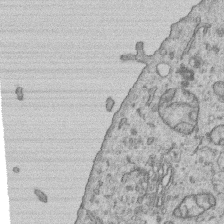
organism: Human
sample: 1205lu cells